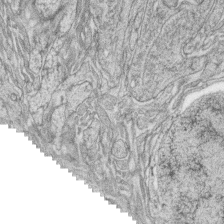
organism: Zebrafish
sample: synaptic ribbons in rod cells and cone cells